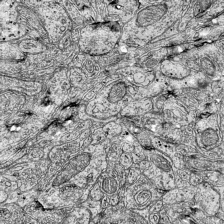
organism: Mouse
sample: Visual Cortex